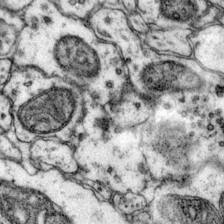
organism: Mouse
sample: Primary visual cortex